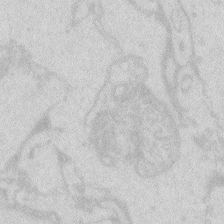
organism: Zebrafish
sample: Macrophage